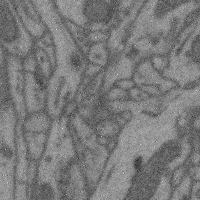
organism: Mouse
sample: Cerebral cortex